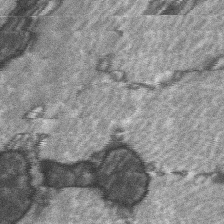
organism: C57BL Mouse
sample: Soleus